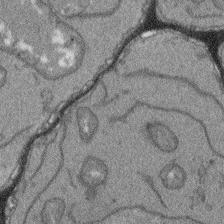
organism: Arabidopsis thaliana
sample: Root tip